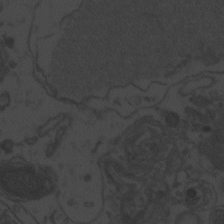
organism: Zebrafish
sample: Macrophage infected with Toxoplasma gondii